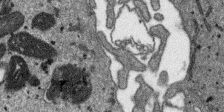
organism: Human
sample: Lung epithelial cells infected with SARS-CoV-2